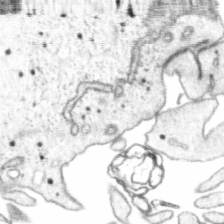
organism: Human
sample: HeLa cells